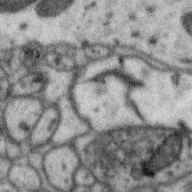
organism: Zebra finch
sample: Brain